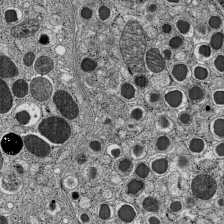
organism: C57BL Mouse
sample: Pancreatic islet